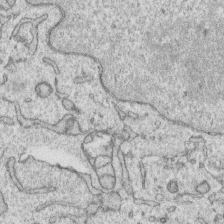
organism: Human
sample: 1205lu cells